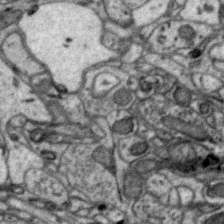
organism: Zebra finch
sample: Brain